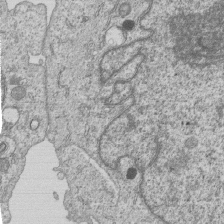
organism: Human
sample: MDA-MB-231 cells